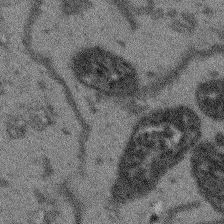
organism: Arabidopsis thaliana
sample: Root tip